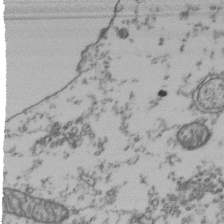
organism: Human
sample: Activated Jurkat CD4+ T cells